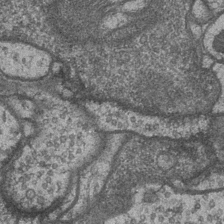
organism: Drosophila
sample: Optic medulla